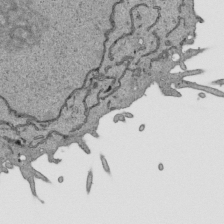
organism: Human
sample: Mitochondria in HCT116 cells